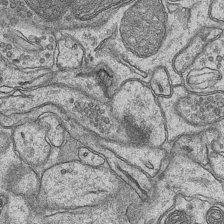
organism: Mouse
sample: CA1 Hippocampus